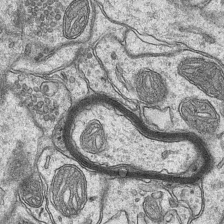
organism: Mouse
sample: CA1 Hippocampus